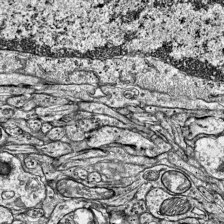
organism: Mouse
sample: Visual Cortex